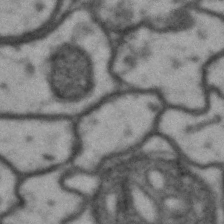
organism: Drosophila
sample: Brain